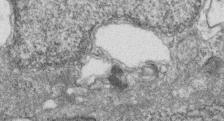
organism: Zebrafish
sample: Cilia; retinal pigment epithelium